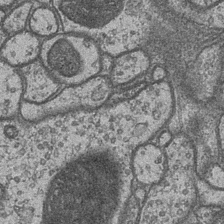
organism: Drosophila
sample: Optic medulla